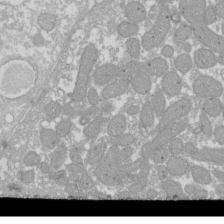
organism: Xenopus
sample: Cilia; centrioles in frog embryo cells